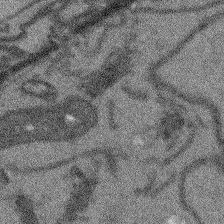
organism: Arabidopsis thaliana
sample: Root tip